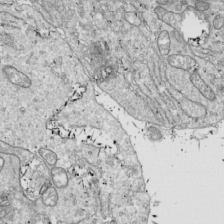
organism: Drosophila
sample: Cell division; meiosis; drosophila spermatocytes